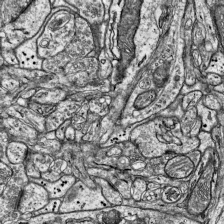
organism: Mouse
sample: Visual Cortex